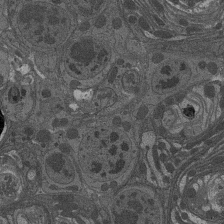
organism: Drosophila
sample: Antenna